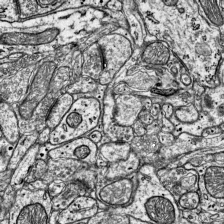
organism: Mouse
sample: Visual Cortex